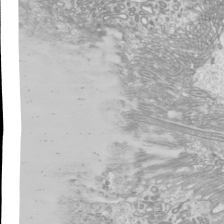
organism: Mouse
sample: Cilia; mouse epididymis